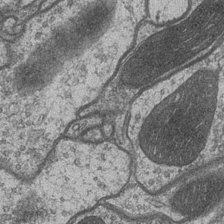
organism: Drosophila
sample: Optic medulla